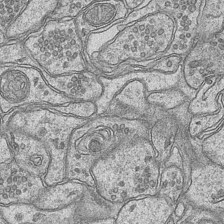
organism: Mouse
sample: CA1 Hippocampus